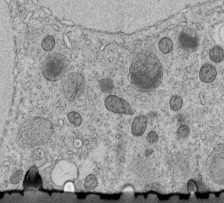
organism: C. elegans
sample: C. elegans embryo early stage